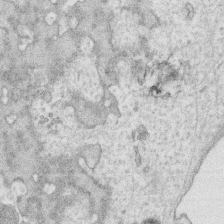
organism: Human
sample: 1205lu cells